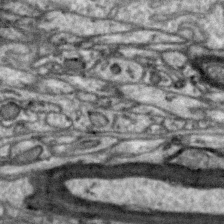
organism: Zebra finch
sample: Brain